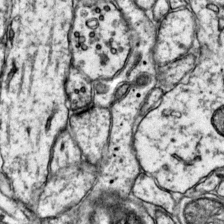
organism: Mouse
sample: Primary visual cortex